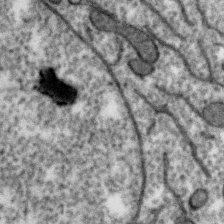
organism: Zebra finch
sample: Brain